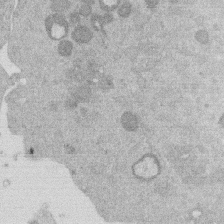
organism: Mouse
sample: Dividing mouse embryo 1 cell stage